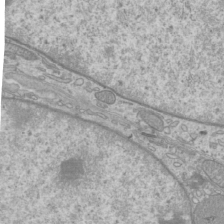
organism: Mouse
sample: Cilia; mouse epididymis